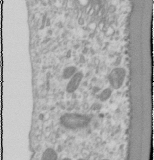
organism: Human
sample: Cilia; basal body in RPE cells